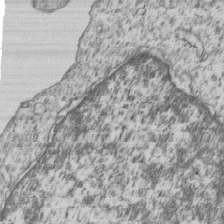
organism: Human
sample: MDA-MB-231 cells